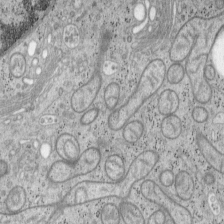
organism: Mouse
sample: OT-I killer T cells with ID8 ovarian cancer cells